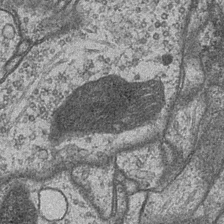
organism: Drosophila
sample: Optic medulla